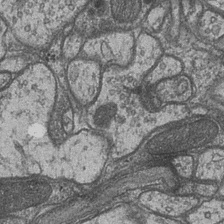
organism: Drosophila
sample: Optic medulla